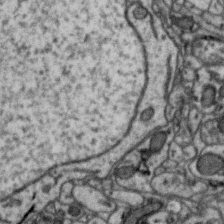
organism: Zebra finch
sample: Brain